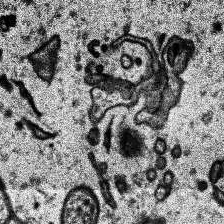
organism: Human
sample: Temporal Lobe